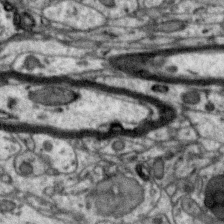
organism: Zebra finch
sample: Brain